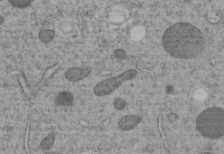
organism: C. elegans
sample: C. elegans embryo early stage